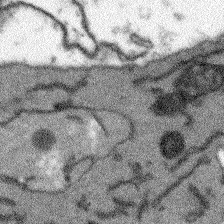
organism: Arabidopsis thaliana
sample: Root tip